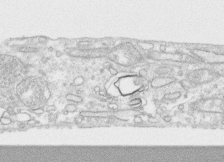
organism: Human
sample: CRL-1474